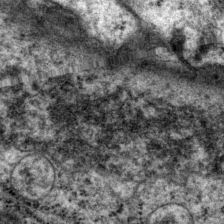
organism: P. pacificus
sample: Pharynx